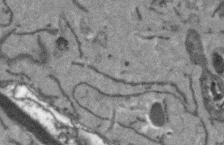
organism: Arabidopsis thaliana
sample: Root tip